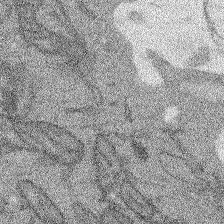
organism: Human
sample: HeLa cells